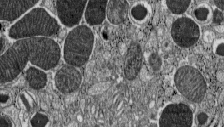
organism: C57BL Mouse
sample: Pancreatic islet